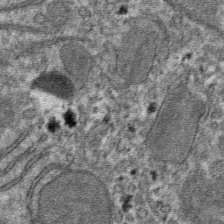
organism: Mouse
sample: Mouse hepatocytes